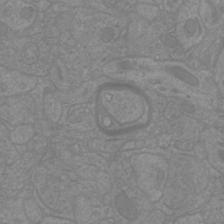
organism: Mouse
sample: Cortical neurons